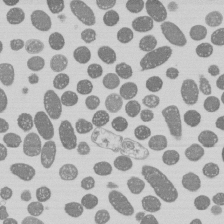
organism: E. coli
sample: Bacterial nucleoid